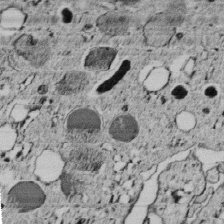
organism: C. elegans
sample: C. elegans embryo early stage